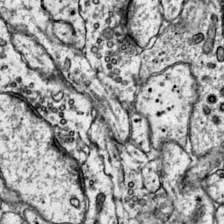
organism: Mouse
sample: Primary visual cortex